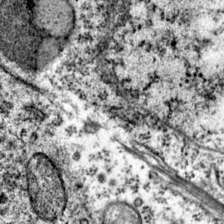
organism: Mouse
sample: Primary visual cortex